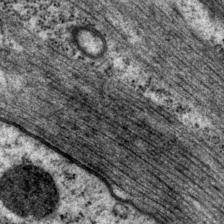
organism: P. pacificus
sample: Pharynx